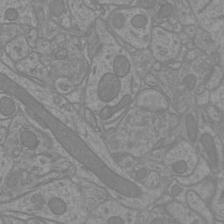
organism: Mouse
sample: Cortical neurons